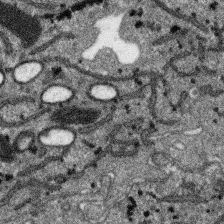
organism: Human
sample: Lung epithelial cells infected with SARS-CoV-2